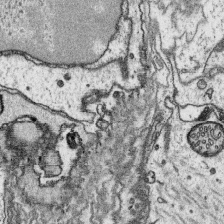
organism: Platynereis dumerilii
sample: Parapodia